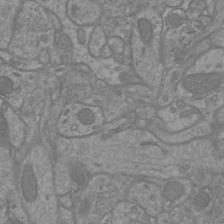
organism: Mouse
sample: Cortical neurons